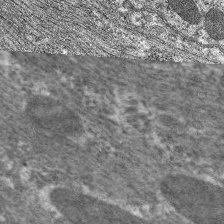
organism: C. elegans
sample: Pharynx